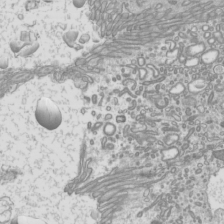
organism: Mouse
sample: Cilia; mouse epididymis